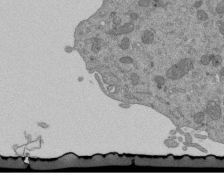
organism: Mouse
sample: ED-1 cell nuclei; centrioles